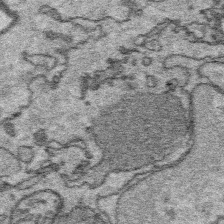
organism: Platynereis dumerilii